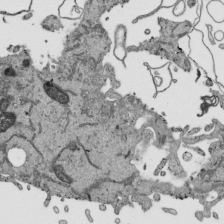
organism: Human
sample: Mitochondria in HCT116 cells